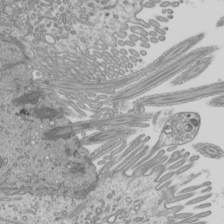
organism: Mouse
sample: Cilia; mouse epididymis